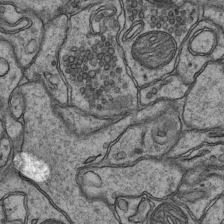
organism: Mouse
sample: CA1 Hippocampus